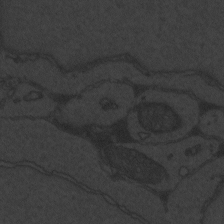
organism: Zebrafish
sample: Macrophage infected with Toxoplasma gondii